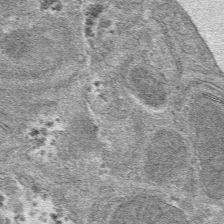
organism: Mouse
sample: Mouse hepatocytes